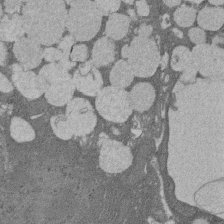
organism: Rat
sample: Salivary granule